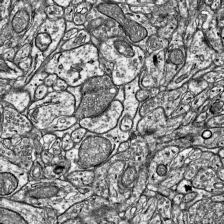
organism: Mouse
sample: Visual Cortex